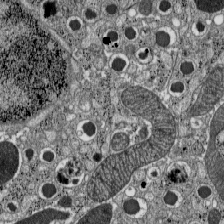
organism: C57BL Mouse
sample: Pancreatic islet